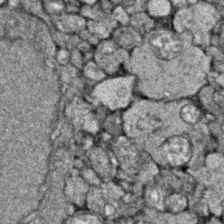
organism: Zebrafish